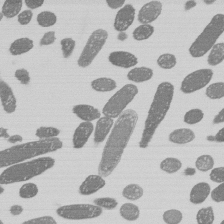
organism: E. coli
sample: Bacterial nucleoid